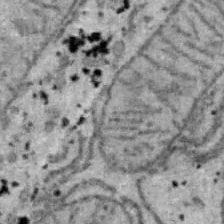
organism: Mouse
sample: Liver from an obese (ob/ob) mouse